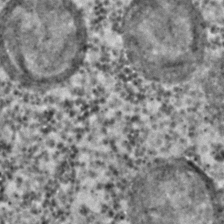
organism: C. elegans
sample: C. elegans embryo